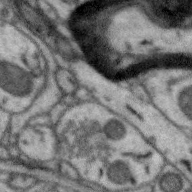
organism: Zebra finch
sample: Brain